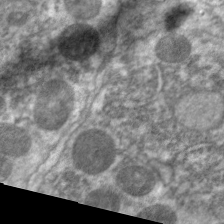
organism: C. elegans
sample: Pharynx